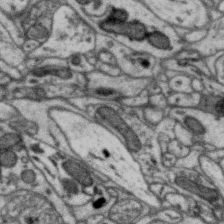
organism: Zebra finch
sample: Brain